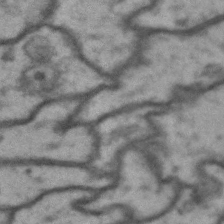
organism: Drosophila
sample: Brain